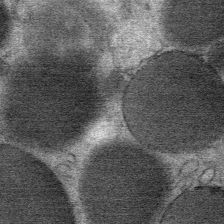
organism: Mouse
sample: Mouse Salivary gland